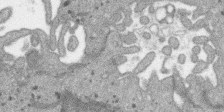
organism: Human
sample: Lung epithelial cells infected with SARS-CoV-2